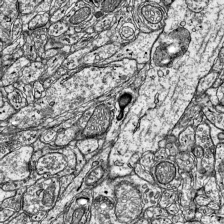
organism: Mouse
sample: Visual Cortex